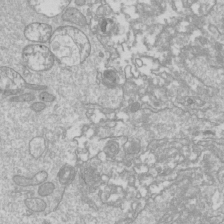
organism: Drosophila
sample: Cell division; meiosis; drosophila spermatocytes